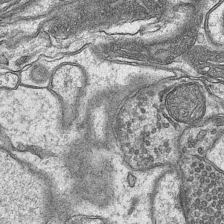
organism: Mouse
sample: CA1 Hippocampus